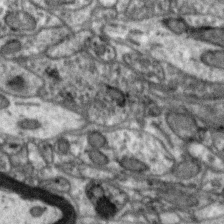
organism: Zebra finch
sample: Brain